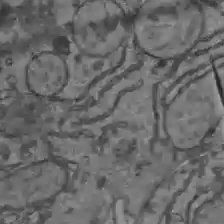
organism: C57BL Mouse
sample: Liver